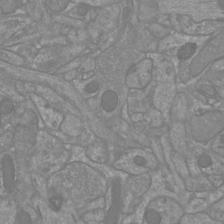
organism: Mouse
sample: Cortical neurons